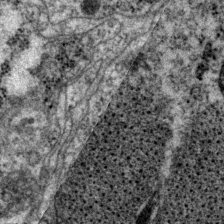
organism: P. pacificus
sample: Pharynx